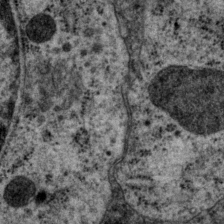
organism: P. pacificus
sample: Pharynx